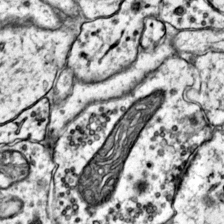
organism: Mouse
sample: Primary visual cortex